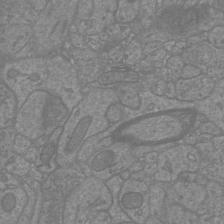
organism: Mouse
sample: Cortical neurons